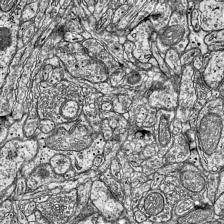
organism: Mouse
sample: Visual Cortex